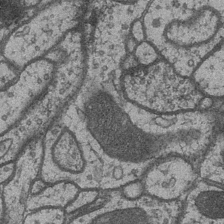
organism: Drosophila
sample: Optic medulla